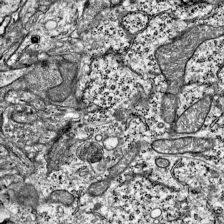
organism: Mouse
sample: Visual Cortex